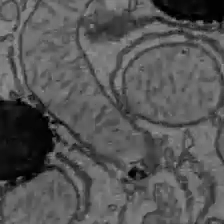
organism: C57BL Mouse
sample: Liver